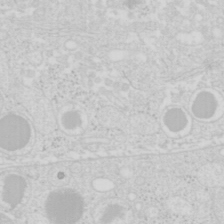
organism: Mouse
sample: Pancreas